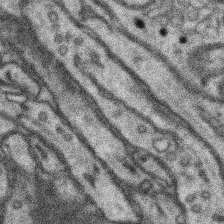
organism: Mouse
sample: Somatosensory cortex neuropil